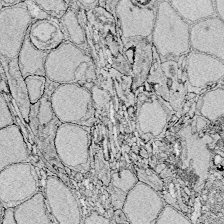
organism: Zebrafish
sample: Whole-Brain